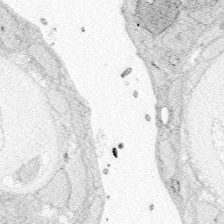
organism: Zebrafish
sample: Whole-Brain